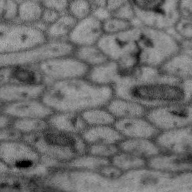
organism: Zebra finch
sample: Brain